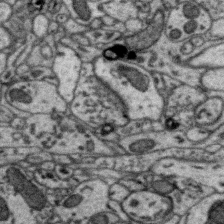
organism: Zebra finch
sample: Brain